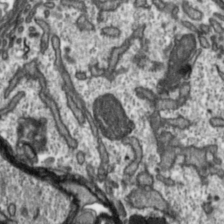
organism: Toxoplasma gondii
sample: Parasites in a vacuole inside a host cell